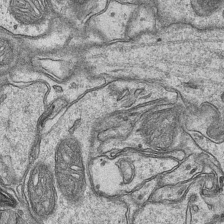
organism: Mouse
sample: CA1 Hippocampus